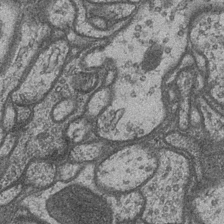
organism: Drosophila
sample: Optic medulla